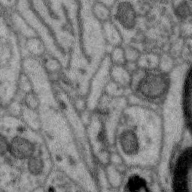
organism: Zebra finch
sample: Brain